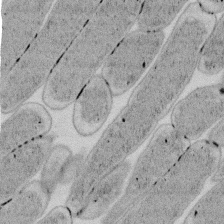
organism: E. coli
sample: Bacterial nucleoid